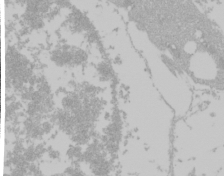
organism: Mouse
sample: Cancer cell death in ED-1 cells